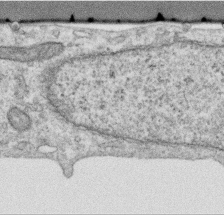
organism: Human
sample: Centriole in RPE cells